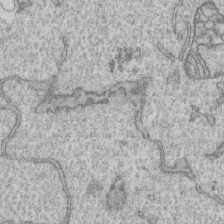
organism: Human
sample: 1205lu cells